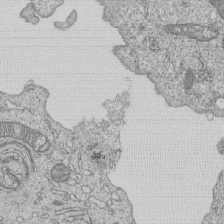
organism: Human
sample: MDA-MB-231 cells